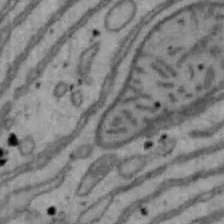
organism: Mouse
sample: Liver